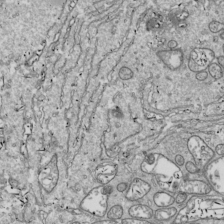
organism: Drosophila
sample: Cell division; meiosis; drosophila spermatocytes